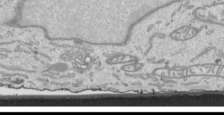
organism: Human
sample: Mitochondria in HCT116 cells